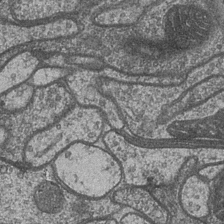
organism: Drosophila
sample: Optic medulla